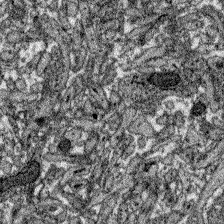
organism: Zebrafish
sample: Larval olfactory bulb